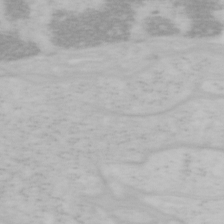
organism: Mouse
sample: OT-I killer T cells with ID8 ovarian cancer cells